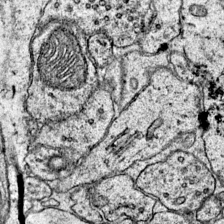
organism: Mouse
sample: Primary visual cortex